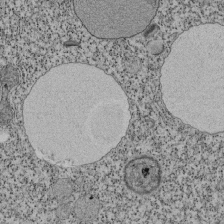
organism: Tetrahymena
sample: Cilia in tetrahymena